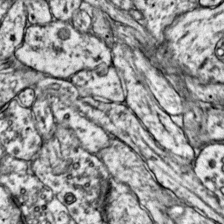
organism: Mouse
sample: Primary visual cortex